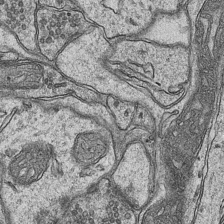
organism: Mouse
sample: CA1 Hippocampus